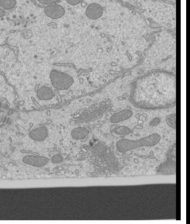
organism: Mouse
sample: Cilia; mouse epididymis